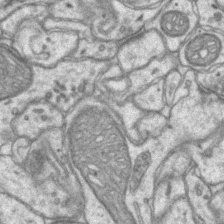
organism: Mouse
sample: CA1 Hippocampus